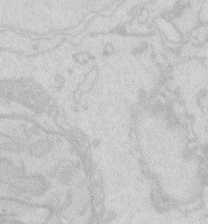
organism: Zebrafish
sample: Macrophage